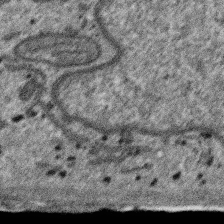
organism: Human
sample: Lung epithelial cells infected with SARS-CoV-2